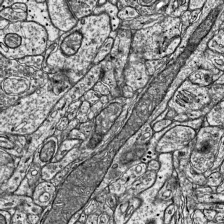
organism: Mouse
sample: Visual Cortex